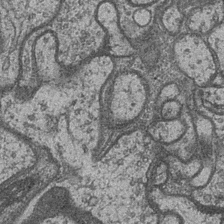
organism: Drosophila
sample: Optic medulla